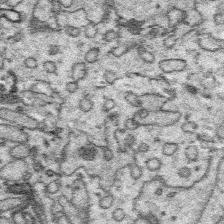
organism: Platynereis dumerilii